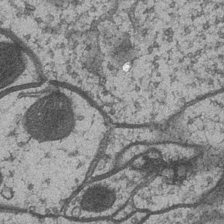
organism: Drosophila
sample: Optic medulla